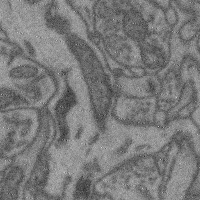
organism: Mouse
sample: Cerebral cortex